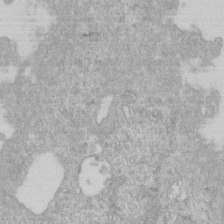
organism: Human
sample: Centriole in RPE cells